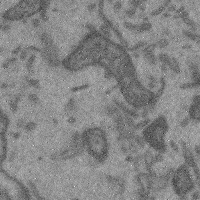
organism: Mouse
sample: Cerebral cortex